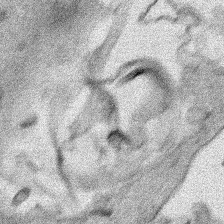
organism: Human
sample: Mitochondria in HCT116 cells